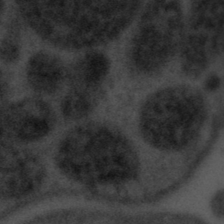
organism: Tuwongella immobilis